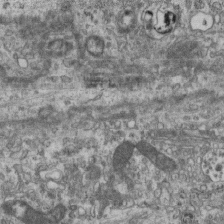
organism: Mouse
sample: Centriole in ependymal cells